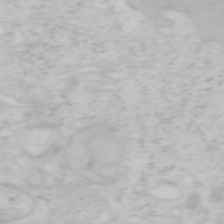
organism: Mouse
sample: OT-I killer T cells with ID8 ovarian cancer cells